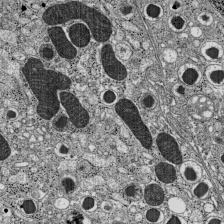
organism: C57BL Mouse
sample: Pancreatic islet